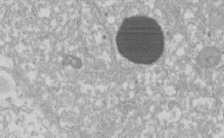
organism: Xenopus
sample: Cilia; centrioles in frog embryo cells